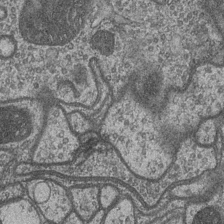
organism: Drosophila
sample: Optic medulla